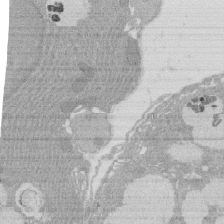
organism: Rat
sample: Salivary granule